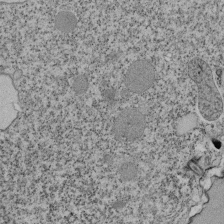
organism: Tetrahymena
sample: Cilia in tetrahymena